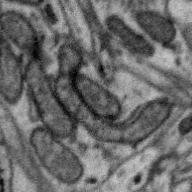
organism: Zebra finch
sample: Brain